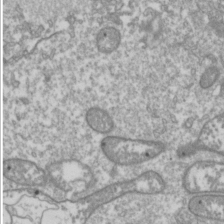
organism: Drosophila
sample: Cell division; meiosis; drosophila spermatocytes